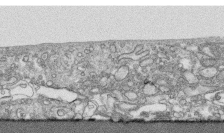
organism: Human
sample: CRL-1474